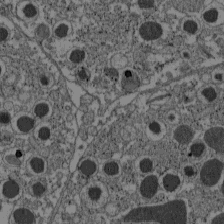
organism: C57BL Mouse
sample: Pancreatic islet